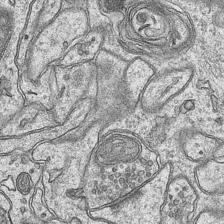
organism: Mouse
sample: CA1 Hippocampus